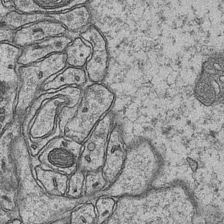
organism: Mouse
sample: CA1 Hippocampus